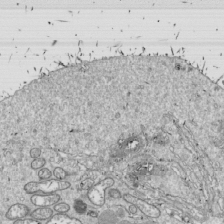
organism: Drosophila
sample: Cell division; meiosis; drosophila spermatocytes